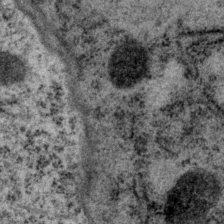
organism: P. pacificus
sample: Pharynx